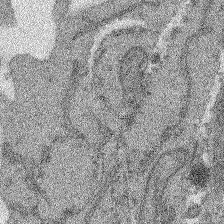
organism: Human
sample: HeLa cells